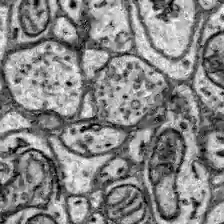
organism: Zebrafish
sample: Brain